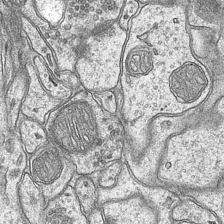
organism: Mouse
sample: CA1 Hippocampus